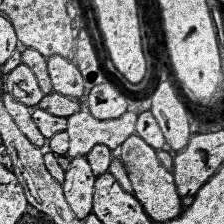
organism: Human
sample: Temporal Lobe